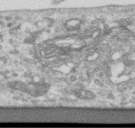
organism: Human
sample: Centriole in RPE cells